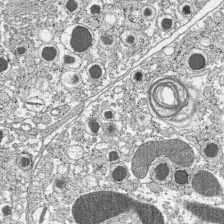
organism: C57BL Mouse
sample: Pancreatic islet